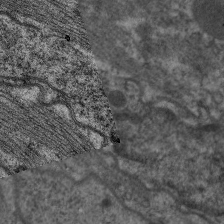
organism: C. elegans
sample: Pharynx